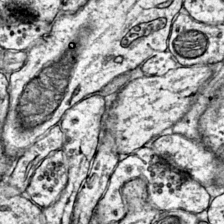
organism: Mouse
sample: Primary visual cortex